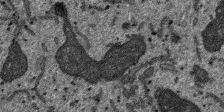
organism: Human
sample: Lung epithelial cells infected with SARS-CoV-2